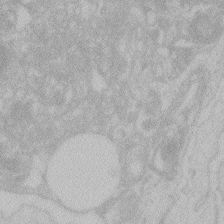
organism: Zebrafish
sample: Macrophage infected with Toxoplasma gondii